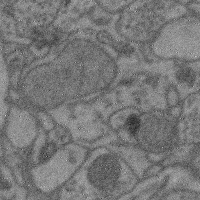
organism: Mouse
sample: Cerebral cortex